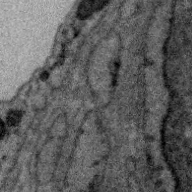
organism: Zebra finch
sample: Brain